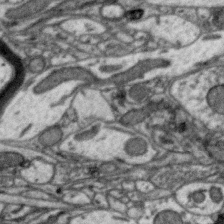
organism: Zebra finch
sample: Brain